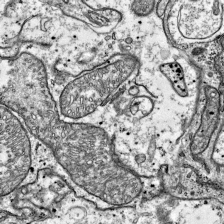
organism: Mouse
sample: Visual Cortex